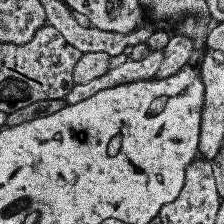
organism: Human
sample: Temporal Lobe